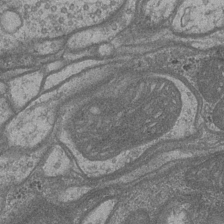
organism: Drosophila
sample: Optic medulla